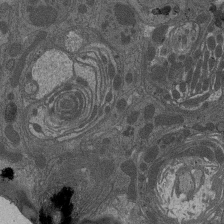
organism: Drosophila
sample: Antenna